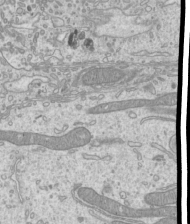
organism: Mouse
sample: Cilia; mouse epididymis